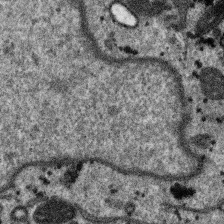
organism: Human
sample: Lung epithelial cells infected with SARS-CoV-2